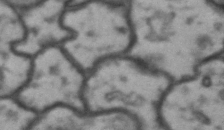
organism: Drosophila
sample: Brain